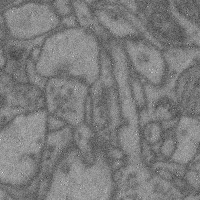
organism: Mouse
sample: Cerebral cortex